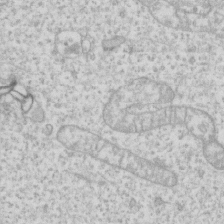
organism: Human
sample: Fibroblast cells